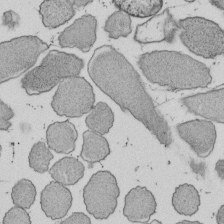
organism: E. coli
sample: Bacterial nucleoid